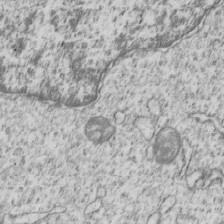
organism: Human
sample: MDA-MB-231 cells